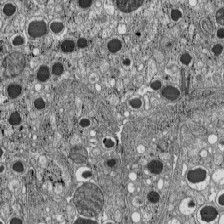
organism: C57BL Mouse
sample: Pancreatic islet